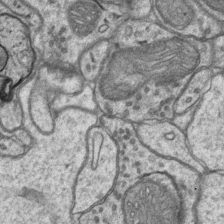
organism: Mouse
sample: CA1 Hippocampus